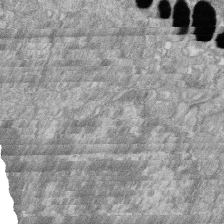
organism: Zebrafish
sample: Cilia; retinal pigment epithelium